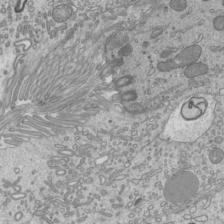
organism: Mouse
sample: Cilia; mouse epididymis